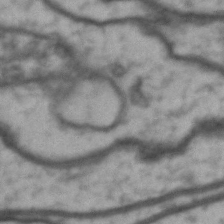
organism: Drosophila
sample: Brain